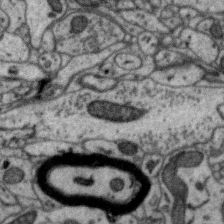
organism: Zebra finch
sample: Brain